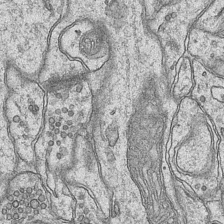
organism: Mouse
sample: CA1 Hippocampus